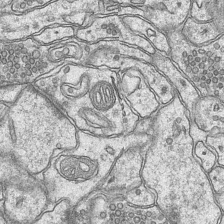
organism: Mouse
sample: CA1 Hippocampus